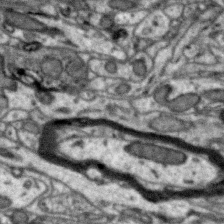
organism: Zebra finch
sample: Brain